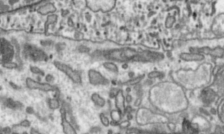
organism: Toxoplasma gondii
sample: Parasites in a vacuole inside a host cell